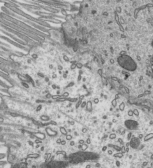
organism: Mouse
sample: Mouse epididymis efferent ductule cilia